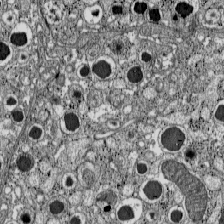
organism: C57BL Mouse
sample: Pancreatic islet